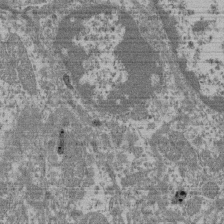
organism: Mouse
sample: Glomerulus